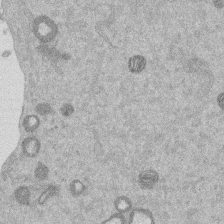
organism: Mouse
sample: Dividing mouse embryo 1 cell stage